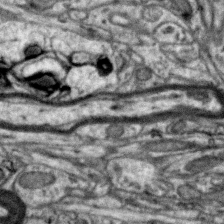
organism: Zebra finch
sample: Brain